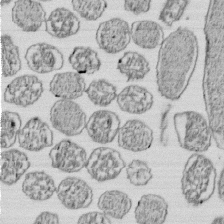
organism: E. coli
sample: Bacterial nucleoid